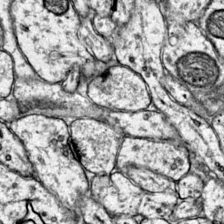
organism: Mouse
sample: Primary visual cortex